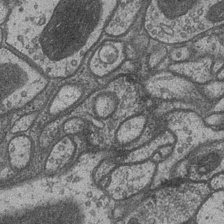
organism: Drosophila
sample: Optic medulla